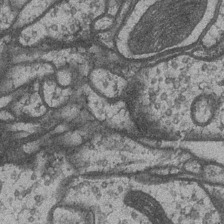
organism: Drosophila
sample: Optic medulla